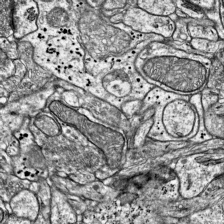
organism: Mouse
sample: Visual Cortex